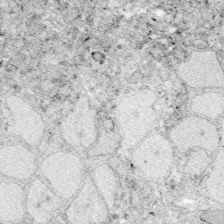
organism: Zebrafish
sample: Whole-Brain